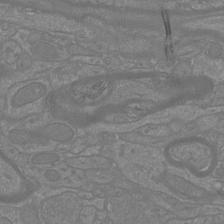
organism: Mouse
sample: Cortical neurons